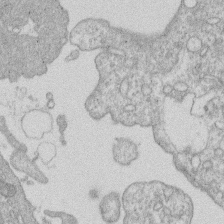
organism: Human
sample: Macrophage cells